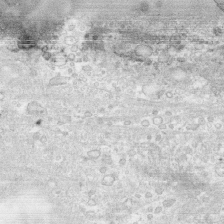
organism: Human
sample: CRL-1474